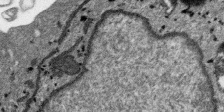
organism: Human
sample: Lung epithelial cells, uninfected (mock) control